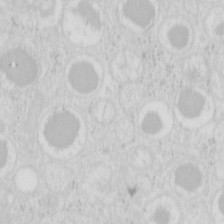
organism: Mouse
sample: Pancreas